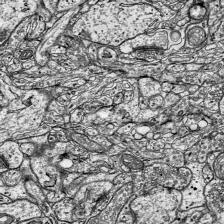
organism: Mouse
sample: Visual Cortex